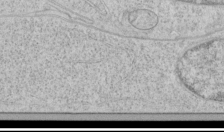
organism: Human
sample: Mitochondria in HCT116 cells